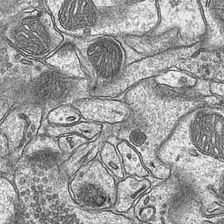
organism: Mouse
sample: CA1 Hippocampus